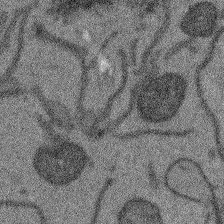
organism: Arabidopsis thaliana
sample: Root tip